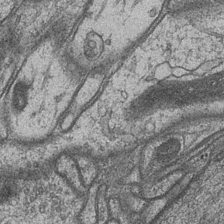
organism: Drosophila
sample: Optic medulla